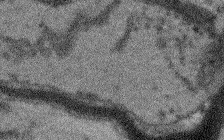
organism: Arabidopsis thaliana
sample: Root tip